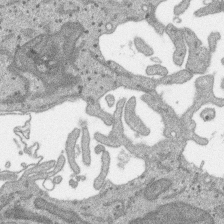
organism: Human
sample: Lung epithelial cells infected with SARS-CoV-2